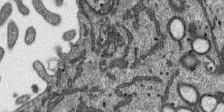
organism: Human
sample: Lung epithelial cells infected with SARS-CoV-2